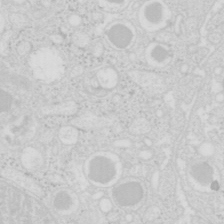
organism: Mouse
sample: Pancreas